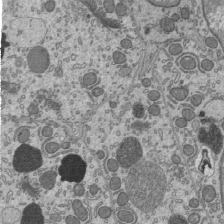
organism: Mouse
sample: Mouse epididymis efferent ductule cilia